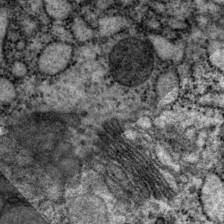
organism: P. pacificus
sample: Pharynx